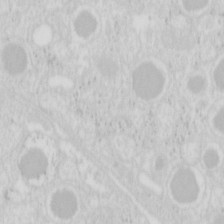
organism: Mouse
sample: Pancreas